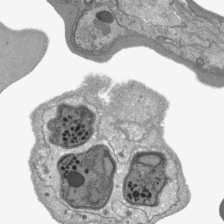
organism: Plasmodium falciparum